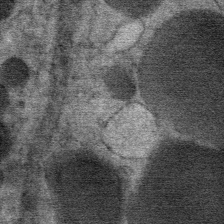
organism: Mouse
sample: Mouse Salivary gland